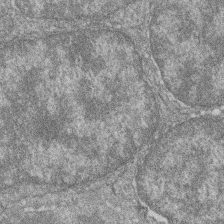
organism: Zebrafish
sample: Cilia; retinal pigment epithelium